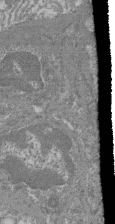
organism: Mouse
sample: Glomerulus